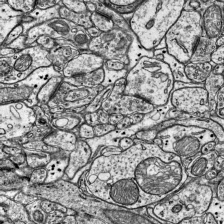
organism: Mouse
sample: Visual Cortex